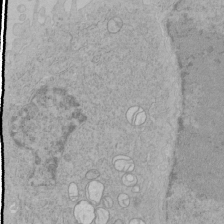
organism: Human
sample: Mitochondria in HCT116 cells